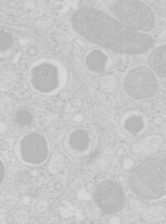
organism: Mouse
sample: Pancreas